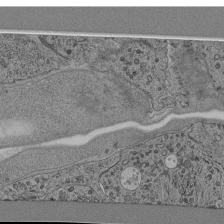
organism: C. elegans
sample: C. elegans pharynx